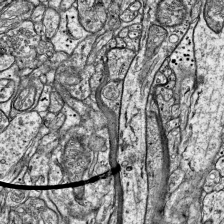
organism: Mouse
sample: Visual Cortex